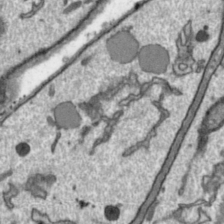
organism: Toxoplasma gondii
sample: Parasites in a vacuole inside a host cell